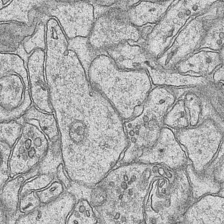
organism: Mouse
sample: CA1 Hippocampus